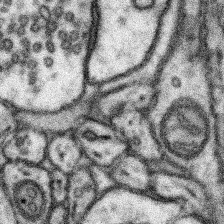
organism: Mouse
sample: Somatosensory cortex neuropil